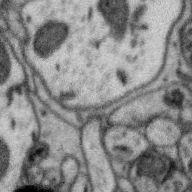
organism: Zebra finch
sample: Brain